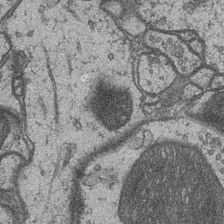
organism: Drosophila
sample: Optic medulla